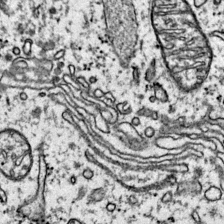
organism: Mouse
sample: Primary visual cortex